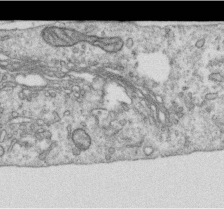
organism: Human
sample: Centriole in RPE cells